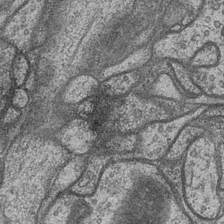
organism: Drosophila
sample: Optic medulla